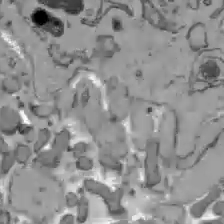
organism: C57BL Mouse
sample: Liver